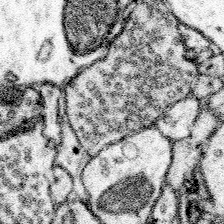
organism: Mouse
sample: Somatosensory cortex neuropil